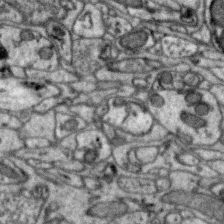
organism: Zebra finch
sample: Brain